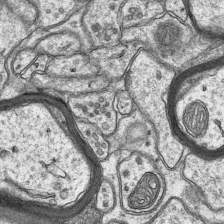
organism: Mouse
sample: CA1 Hippocampus